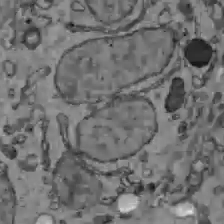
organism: C57BL Mouse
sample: Liver